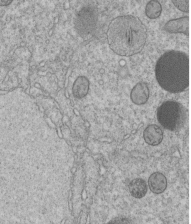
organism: C. elegans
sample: C. elegans embryo early stage